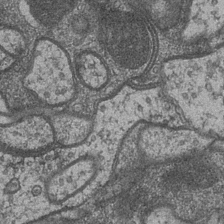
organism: Drosophila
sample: Optic medulla